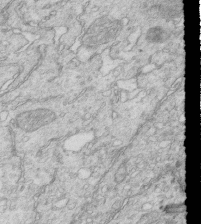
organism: Mouse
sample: Multiciliated cells